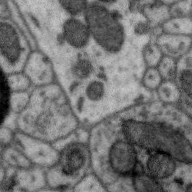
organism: Zebra finch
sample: Brain